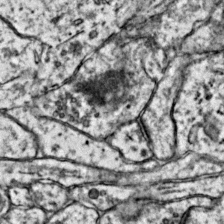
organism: Mouse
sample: Primary visual cortex